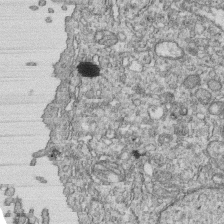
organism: Human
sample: HeLa cell HIV synapse